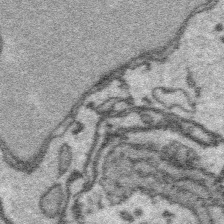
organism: Platynereis dumerilii